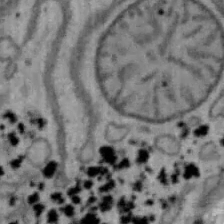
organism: Mouse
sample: Liver